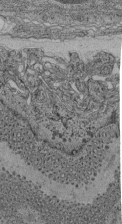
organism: C. elegans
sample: C. elegans pharynx